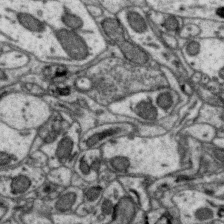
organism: Zebra finch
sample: Brain